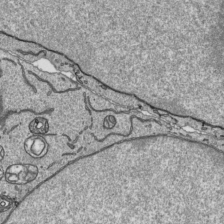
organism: Human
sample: Mitochondria in HCT116 cells